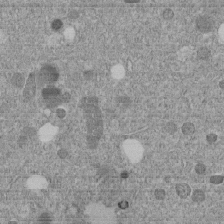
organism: C. elegans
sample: C. elegans embryo early stage